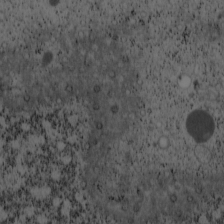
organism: African green monkey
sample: COS-7 cells